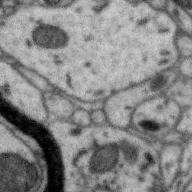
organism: Zebra finch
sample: Brain